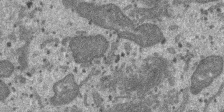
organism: Human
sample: Lung epithelial cells infected with SARS-CoV-2